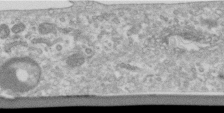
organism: Human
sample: Centriole in RPE cells